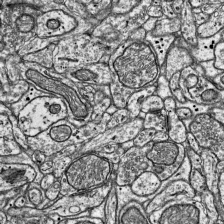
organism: Mouse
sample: Visual Cortex